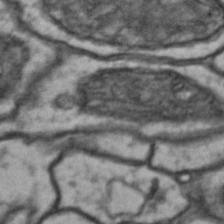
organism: Drosophila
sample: Brain